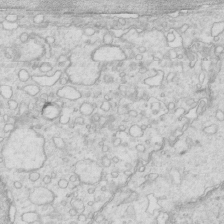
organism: Mouse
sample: Multiciliated cells